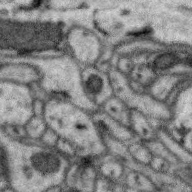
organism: Zebra finch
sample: Brain